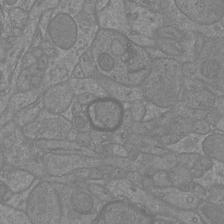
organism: Mouse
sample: Cortical neurons